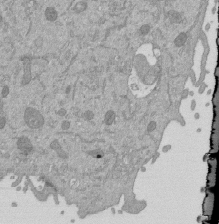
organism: Mouse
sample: ED-1 cell nuclei; centrioles